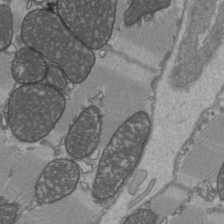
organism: C57BL Mouse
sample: Heart